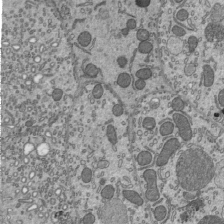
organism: Mouse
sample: Mouse epididymis efferent ductule cilia